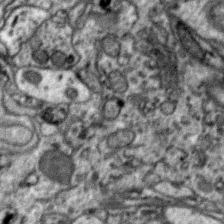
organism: Zebra finch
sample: Brain